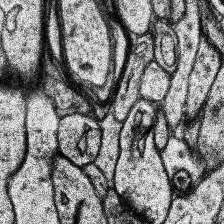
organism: Human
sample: Temporal Lobe